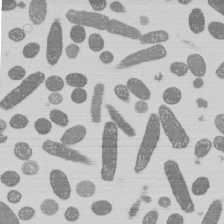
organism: E. coli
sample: Bacterial nucleoid